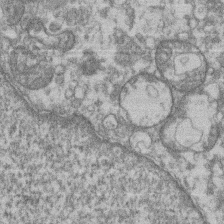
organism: Mouse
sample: T cell stromal cell synapse